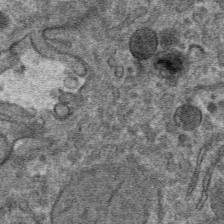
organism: Mouse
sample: Mouse hepatocytes